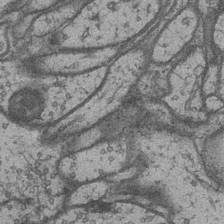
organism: Drosophila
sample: Optic medulla